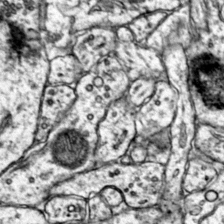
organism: Mouse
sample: Primary visual cortex